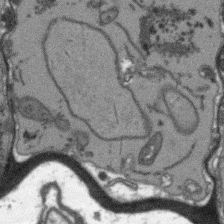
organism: Arabidopsis thaliana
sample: Root tip